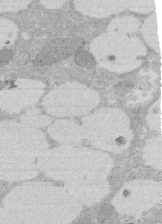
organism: Rat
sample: Salivary granule